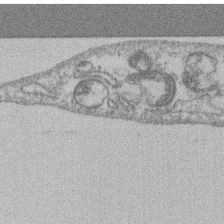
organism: Mouse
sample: T cell stromal cell synapse